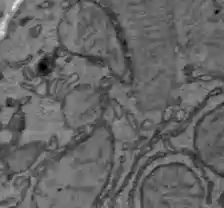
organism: C57BL Mouse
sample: Liver